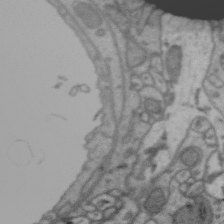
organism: Zebra finch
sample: Brain